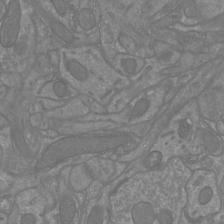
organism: Mouse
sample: Cortical neurons